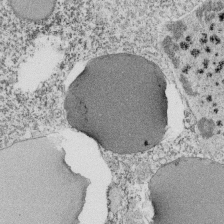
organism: Tetrahymena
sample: Cilia in tetrahymena